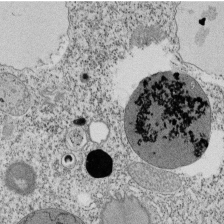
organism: Tetrahymena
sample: Cilia in tetrahymena